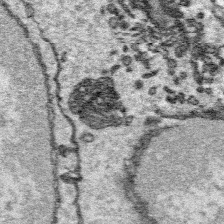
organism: Platynereis dumerilii